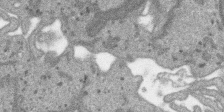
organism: Human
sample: Lung epithelial cells infected with SARS-CoV-2